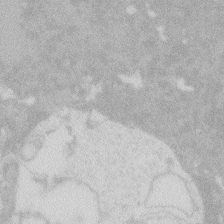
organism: Zebrafish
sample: Macrophage